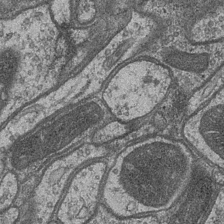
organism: Drosophila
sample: Optic medulla